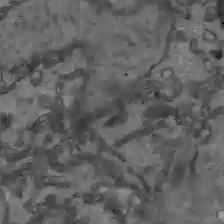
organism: C57BL Mouse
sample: Liver